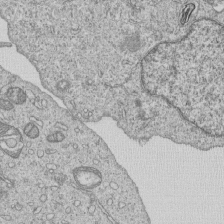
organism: Human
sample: MDA-MB-231 cells